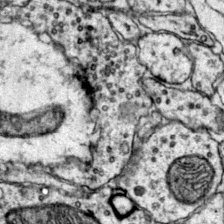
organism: Mouse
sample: Primary visual cortex